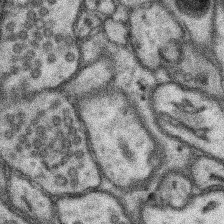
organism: Mouse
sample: Somatosensory cortex neuropil